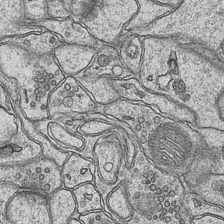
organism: Mouse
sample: CA1 Hippocampus